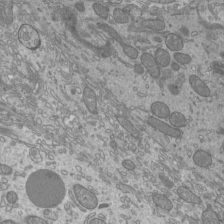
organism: Mouse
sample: Cilia; mouse epididymis